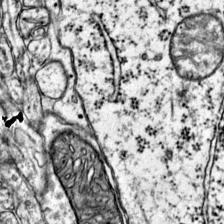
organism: Mouse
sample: Primary visual cortex